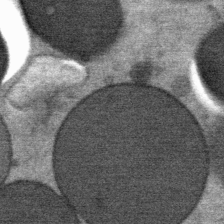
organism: Mouse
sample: Mouse Salivary gland